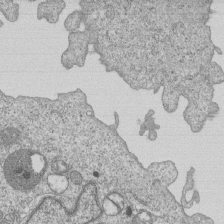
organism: Human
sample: MDA-MB-231 cells